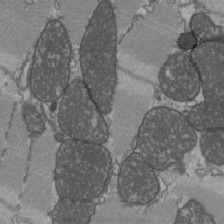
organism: C57BL Mouse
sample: Heart